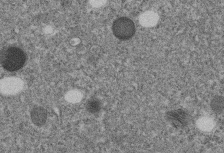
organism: C. elegans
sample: C. elegans embryo early stage